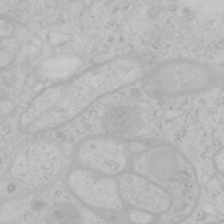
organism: Mouse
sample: OT-I killer T cells with ID8 ovarian cancer cells